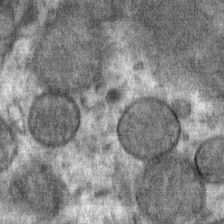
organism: Mouse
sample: Mouse Salivary gland